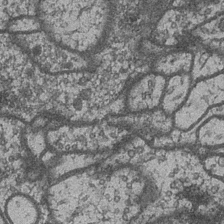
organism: Drosophila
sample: Optic medulla